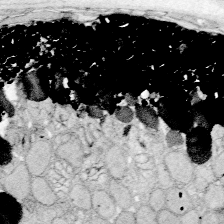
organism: Zebrafish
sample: Whole-Brain